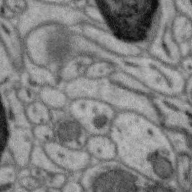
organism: Zebra finch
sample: Brain